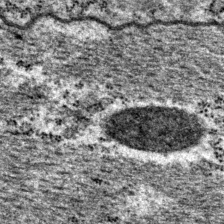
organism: P. pacificus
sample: Pharynx